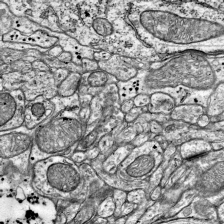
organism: Mouse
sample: Visual Cortex